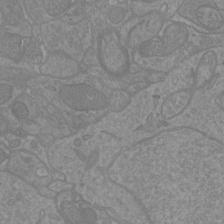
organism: Mouse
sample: Cortical neurons